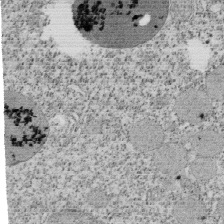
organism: Tetrahymena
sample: Cilia in tetrahymena